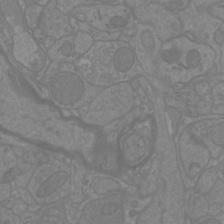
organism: Mouse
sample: Cortical neurons